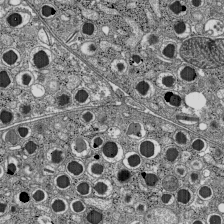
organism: C57BL Mouse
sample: Pancreatic islet